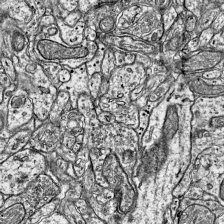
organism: Mouse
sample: Visual Cortex